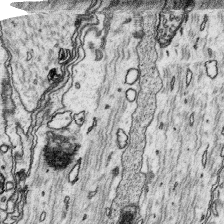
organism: Platynereis dumerilii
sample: Parapodia